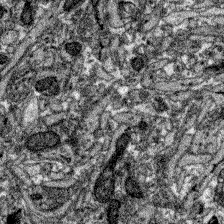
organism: Zebrafish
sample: Larval olfactory bulb